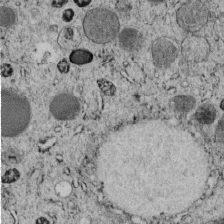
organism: C. elegans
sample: C. elegans embryo early stage